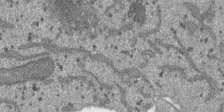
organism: Human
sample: Lung epithelial cells infected with SARS-CoV-2